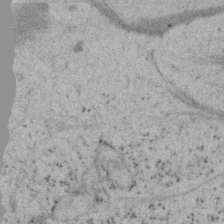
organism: Human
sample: HeLa cells